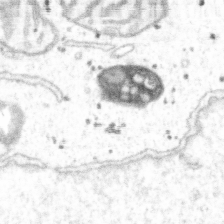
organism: Human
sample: HeLa cells